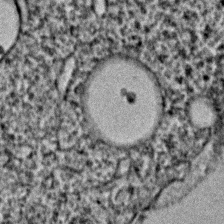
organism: C. elegans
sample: C. elegans embryo